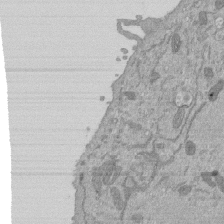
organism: Mouse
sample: ED-1 cell nuclei; centrioles